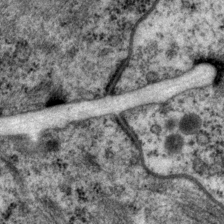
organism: P. pacificus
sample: Pharynx